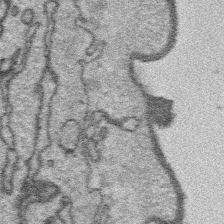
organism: Platynereis dumerilii